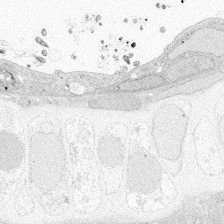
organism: Zebrafish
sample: Whole-Brain